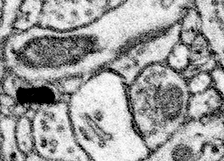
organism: Mouse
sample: Somatosensory cortex neuropil